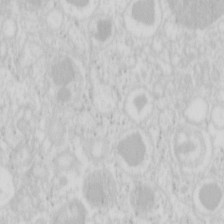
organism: Mouse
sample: Pancreas